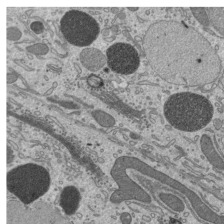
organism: Mouse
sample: Mouse epididymis efferent ductule cilia